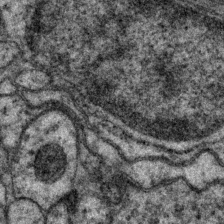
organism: P. pacificus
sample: Pharynx